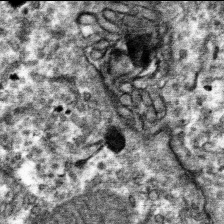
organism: Mouse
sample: Mouse hepatocytes